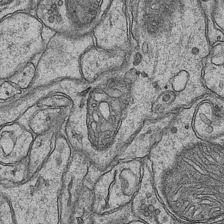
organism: Mouse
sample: CA1 Hippocampus